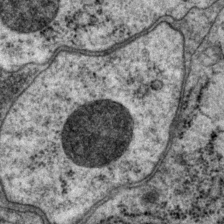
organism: P. pacificus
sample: Pharynx